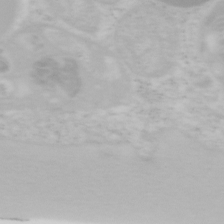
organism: Mouse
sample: OT-I killer T cells with ID8 ovarian cancer cells